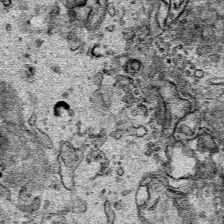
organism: Human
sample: Mitochondria in HCT116 cells